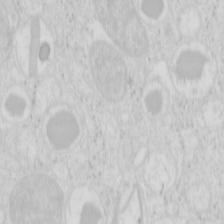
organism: Mouse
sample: Pancreas